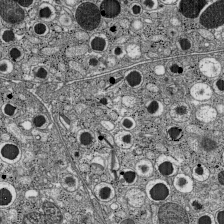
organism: C57BL Mouse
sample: Pancreatic islet